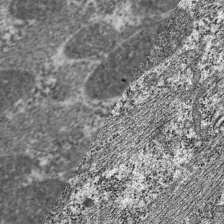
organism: C. elegans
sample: Pharynx